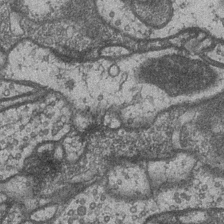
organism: Drosophila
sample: Optic medulla